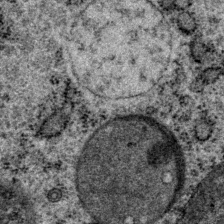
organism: P. pacificus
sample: Pharynx